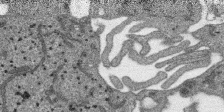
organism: Human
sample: Lung epithelial cells infected with SARS-CoV-2